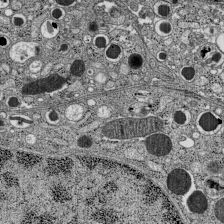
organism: C57BL Mouse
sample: Pancreatic islet